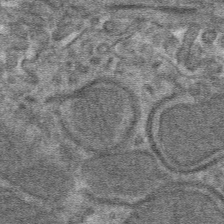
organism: Mouse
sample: Mouse hepatocytes